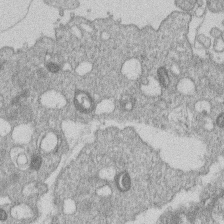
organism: Human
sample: Macrophage cells